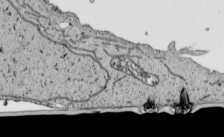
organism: Human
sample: Mitochondria in HCT116 cells